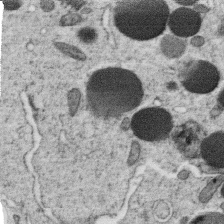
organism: C. elegans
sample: C. elegans oocyte; sperm cells